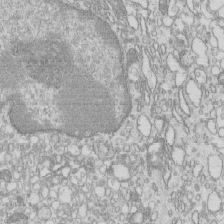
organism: Mouse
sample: Macrophages